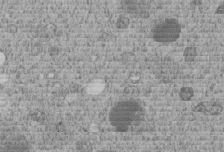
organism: C. elegans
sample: C. elegans embryo early stage